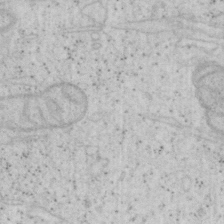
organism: Human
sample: HeLa cells